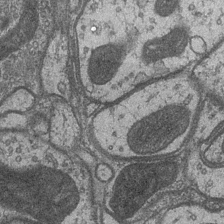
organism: Drosophila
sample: Optic medulla